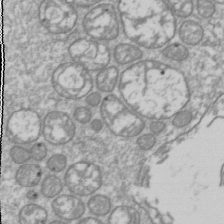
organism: Drosophila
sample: Cell division; meiosis; drosophila spermatocytes